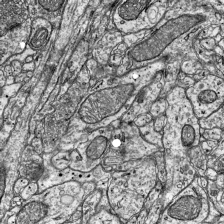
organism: Mouse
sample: Visual Cortex